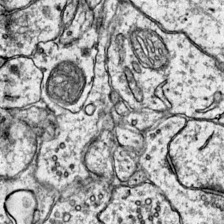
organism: Mouse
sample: Primary visual cortex